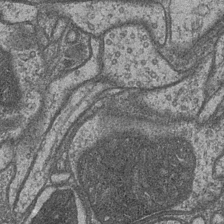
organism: Drosophila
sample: Optic medulla